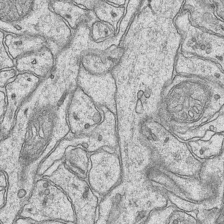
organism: Mouse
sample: CA1 Hippocampus